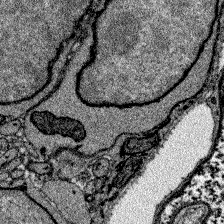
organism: Zebrafish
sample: Larval olfactory bulb